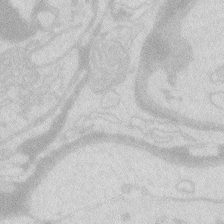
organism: Zebrafish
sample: Macrophage